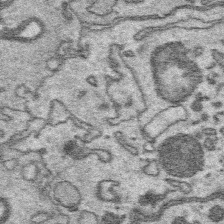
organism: Platynereis dumerilii